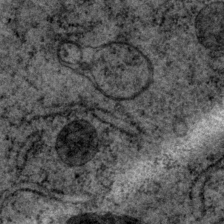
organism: P. pacificus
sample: Pharynx